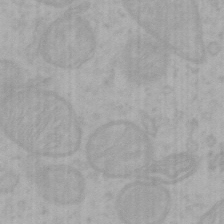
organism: Mouse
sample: Choroid plexus